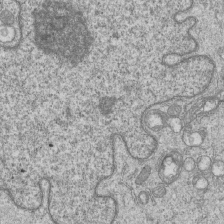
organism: Human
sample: MDA-MB-231 cells